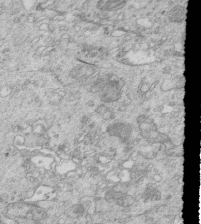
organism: Mouse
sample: Multiciliated cells